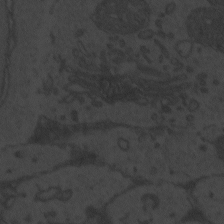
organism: Zebrafish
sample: Macrophage infected with Toxoplasma gondii